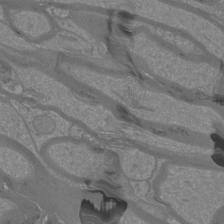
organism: Mouse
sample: Cortical neurons